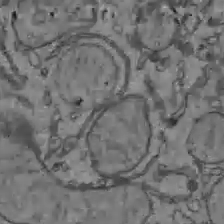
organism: C57BL Mouse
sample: Liver